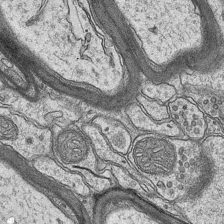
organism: Mouse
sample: CA1 Hippocampus